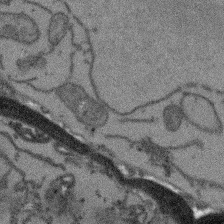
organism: Arabidopsis thaliana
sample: Root tip